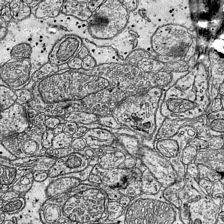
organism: Mouse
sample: Visual Cortex